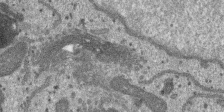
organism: Human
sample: Lung epithelial cells infected with SARS-CoV-2